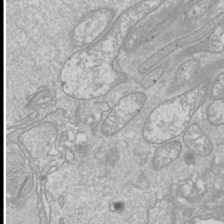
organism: Drosophila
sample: Cell division; meiosis; drosophila spermatocytes